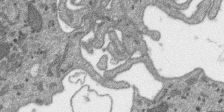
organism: Human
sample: Lung epithelial cells infected with SARS-CoV-2